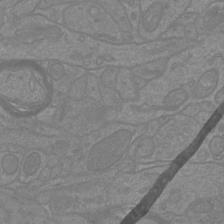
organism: Mouse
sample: Cortical neurons